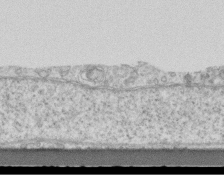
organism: Mouse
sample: Centriole in ependymal cells